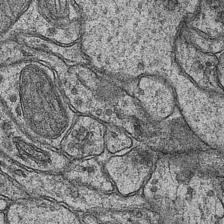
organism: Mouse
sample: CA1 Hippocampus